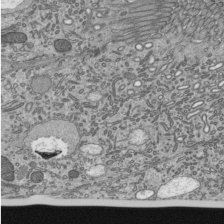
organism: Mouse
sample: Mouse epididymis efferent ductule cilia